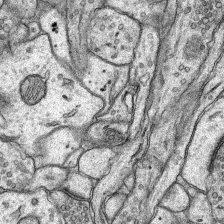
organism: Rat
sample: Hippocampus